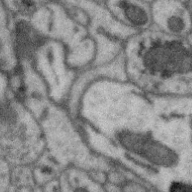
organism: Zebra finch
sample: Brain